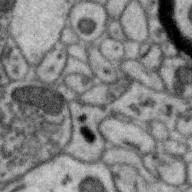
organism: Zebra finch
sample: Brain